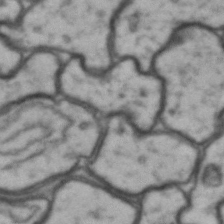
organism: Drosophila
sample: Brain